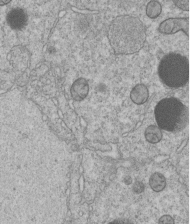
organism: C. elegans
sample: C. elegans embryo early stage